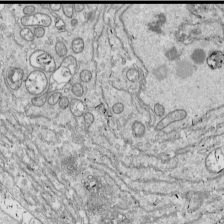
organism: Drosophila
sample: Cell division; meiosis; drosophila spermatocytes